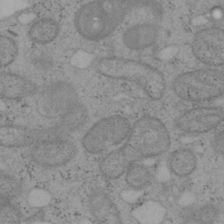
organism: Mouse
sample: OT-I killer T cells with ID8 ovarian cancer cells